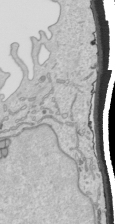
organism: Human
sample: Mitochondria in HCT116 cells